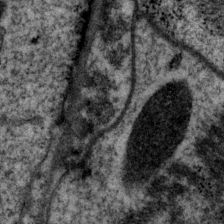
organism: P. pacificus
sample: Pharynx